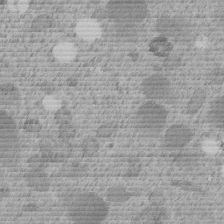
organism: C. elegans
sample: C. elegans embryo early stage